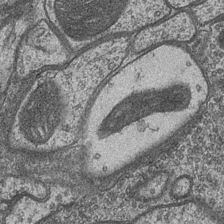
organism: Drosophila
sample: Optic medulla